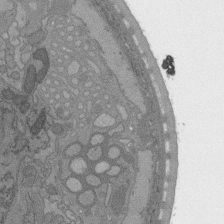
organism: C. elegans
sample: AFD neurons C. elegans